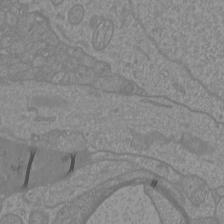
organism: Mouse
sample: Cortical neurons